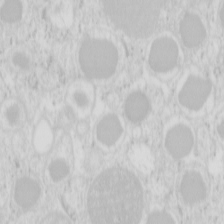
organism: Mouse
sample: Pancreas